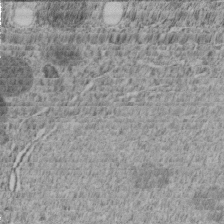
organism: C. elegans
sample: C. elegans embryo early stage